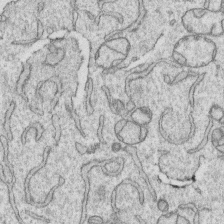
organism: Human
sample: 1205lu cells